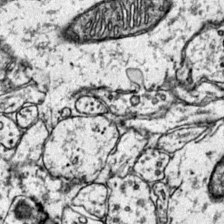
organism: Mouse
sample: Primary visual cortex